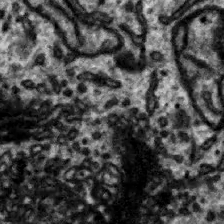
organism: Human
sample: HeLa cells